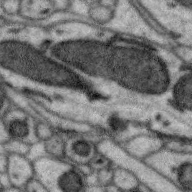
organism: Zebra finch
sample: Brain